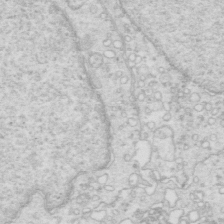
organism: Mouse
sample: Multiciliated cells